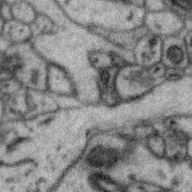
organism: Zebra finch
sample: Brain